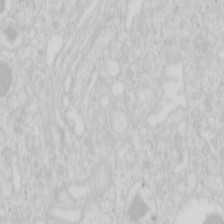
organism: Mouse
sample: Pancreas